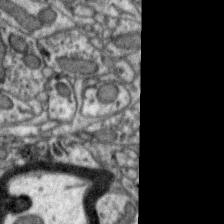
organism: Zebra finch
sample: Brain